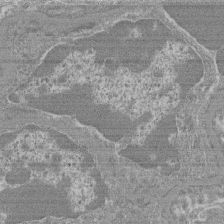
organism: Mouse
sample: Glomerulus